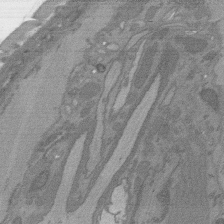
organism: C. elegans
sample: AFD neurons C. elegans